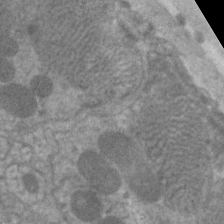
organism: C. elegans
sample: Pharynx